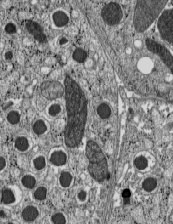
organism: C57BL Mouse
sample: Pancreatic islet